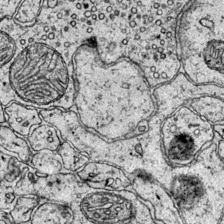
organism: Mouse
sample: Primary visual cortex